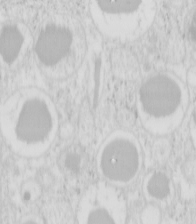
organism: Mouse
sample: Pancreas